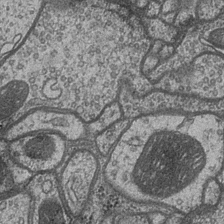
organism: Drosophila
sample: Optic medulla